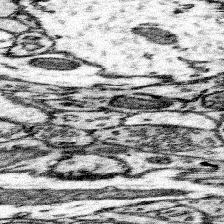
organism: Mouse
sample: Somatosensory cortex neuropil